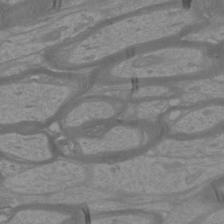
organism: Mouse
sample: Cortical neurons